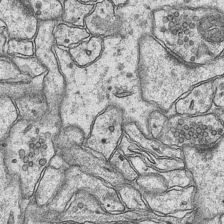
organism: Mouse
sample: CA1 Hippocampus